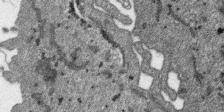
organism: Human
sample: Lung epithelial cells infected with SARS-CoV-2